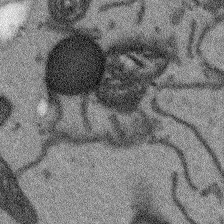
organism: Arabidopsis thaliana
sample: Root tip